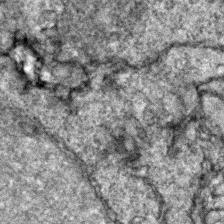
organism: Zebrafish